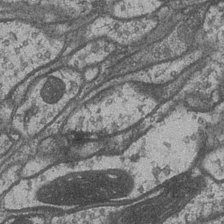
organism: Drosophila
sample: Optic medulla